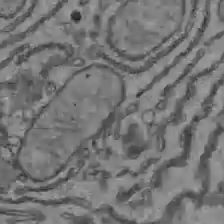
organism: C57BL Mouse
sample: Liver